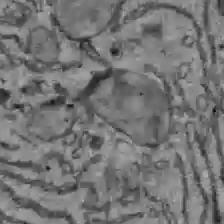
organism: C57BL Mouse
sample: Liver